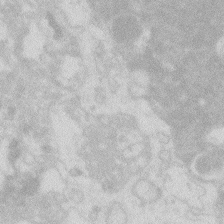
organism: Zebrafish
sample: Macrophage